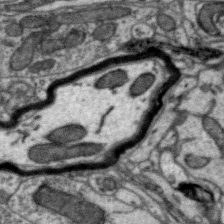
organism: Zebra finch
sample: Brain